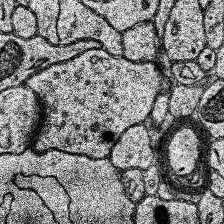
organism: Human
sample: Temporal Lobe